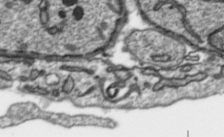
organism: Toxoplasma gondii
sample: Parasites in a vacuole inside a host cell